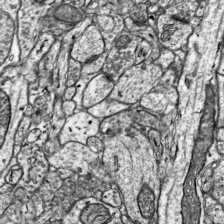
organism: Mouse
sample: Visual Cortex